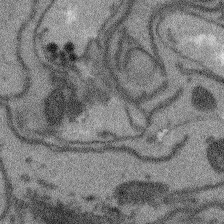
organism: Arabidopsis thaliana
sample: Root tip